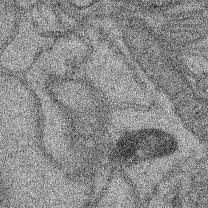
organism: Human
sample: HeLa cells